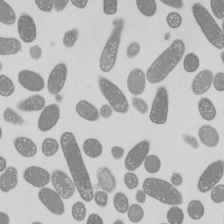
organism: E. coli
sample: Bacterial nucleoid